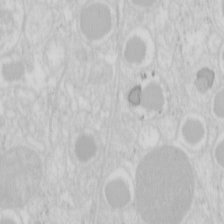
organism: Mouse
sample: Pancreas